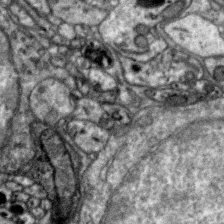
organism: Zebra finch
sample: Brain